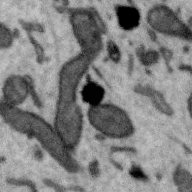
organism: Zebra finch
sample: Brain